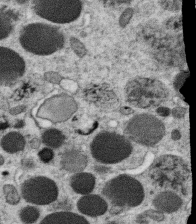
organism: C. elegans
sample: C. elegans oocyte; sperm cells